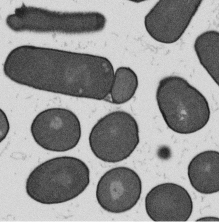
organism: B. subtilis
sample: Bacterial spore